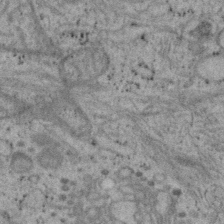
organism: Human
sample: HeLa cells